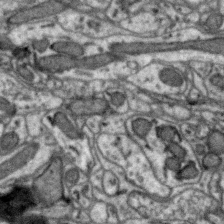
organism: Zebra finch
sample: Brain